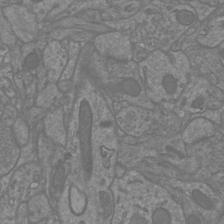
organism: Mouse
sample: Cortical neurons